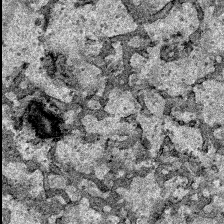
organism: Human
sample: Mitochondria in HCT116 cells